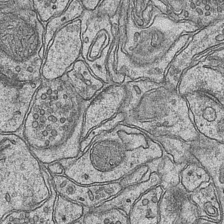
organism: Mouse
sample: CA1 Hippocampus